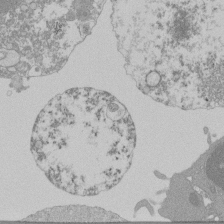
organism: Mouse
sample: Activated Pmel transgenic CD8+ T Cells